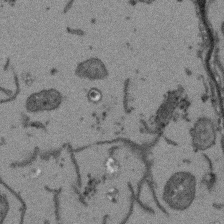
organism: Arabidopsis thaliana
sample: Root tip